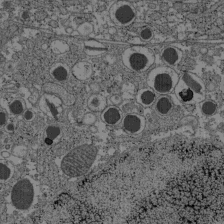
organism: C57BL Mouse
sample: Pancreatic islet